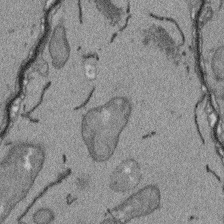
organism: Arabidopsis thaliana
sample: Root tip